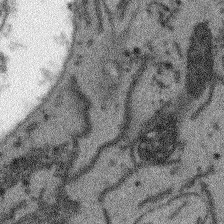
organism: Arabidopsis thaliana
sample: Root tip